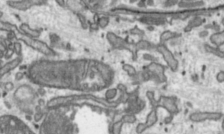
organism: Toxoplasma gondii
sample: Parasites in a vacuole inside a host cell